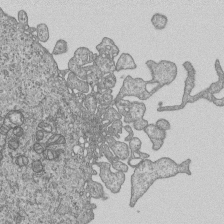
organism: Human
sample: MDA-MB-231 cells